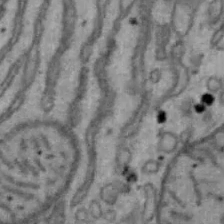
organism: Mouse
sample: Liver